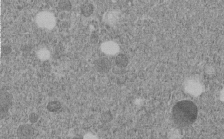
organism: C. elegans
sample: C. elegans embryo early stage